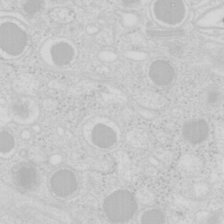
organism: Mouse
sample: Pancreas